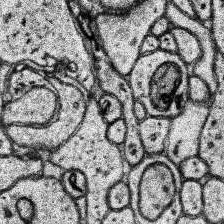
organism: Human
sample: Temporal Lobe